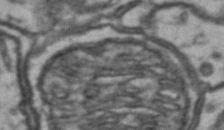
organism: Drosophila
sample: Brain